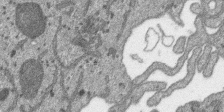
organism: Human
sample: Lung epithelial cells infected with SARS-CoV-2